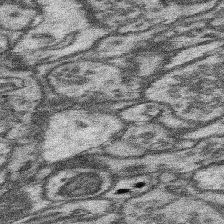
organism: Mouse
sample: Somatosensory cortex neuropil